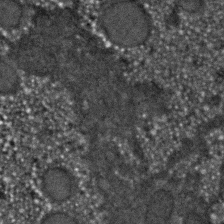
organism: C. elegans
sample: C. elegans embryo